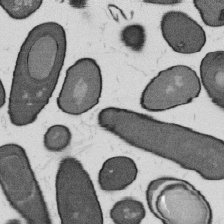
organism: B. subtilis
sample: Bacterial spore